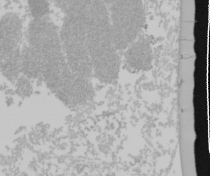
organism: Mouse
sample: Cancer cell death in ED-1 cells